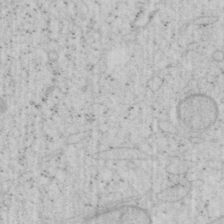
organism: Human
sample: HeLa cells